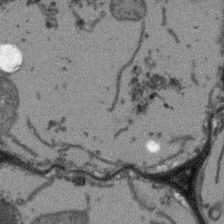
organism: Arabidopsis thaliana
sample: Root tip